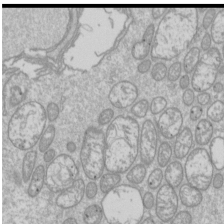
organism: Drosophila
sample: Cell division; meiosis; drosophila spermatocytes